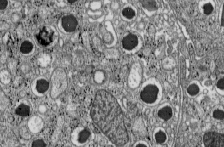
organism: C57BL Mouse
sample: Pancreatic islet